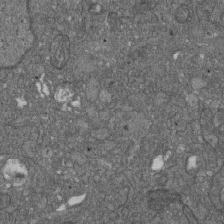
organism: Drosophila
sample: Nephrocyte